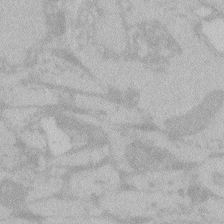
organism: Zebrafish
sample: Macrophage infected with Toxoplasma gondii